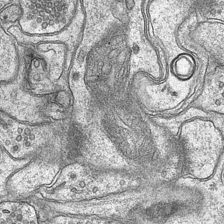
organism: Mouse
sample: CA1 Hippocampus